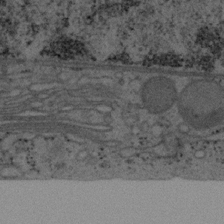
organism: Human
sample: HeLa cells